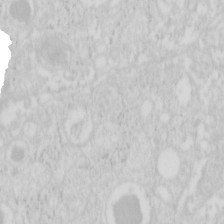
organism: Mouse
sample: Pancreas